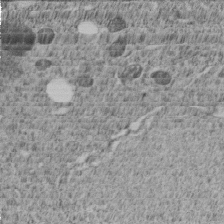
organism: C. elegans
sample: C. elegans embryo early stage